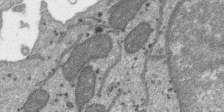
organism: Human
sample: Lung epithelial cells infected with SARS-CoV-2